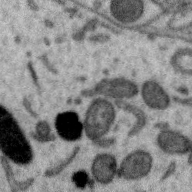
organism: Zebra finch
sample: Brain